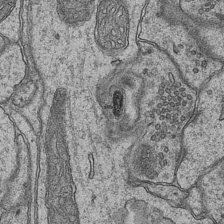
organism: Mouse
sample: CA1 Hippocampus